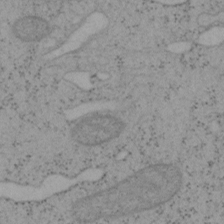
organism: Mouse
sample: OT-I killer T cells with ID8 ovarian cancer cells